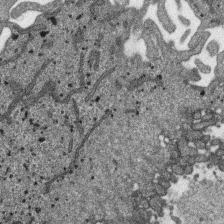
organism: Human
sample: Lung epithelial cells infected with SARS-CoV-2